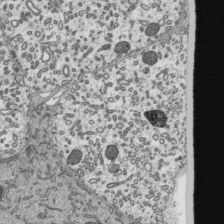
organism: Mouse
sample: Mouse epididymis efferent ductule cilia